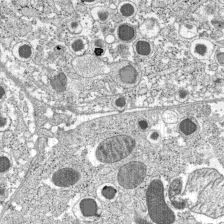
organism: C57BL Mouse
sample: Pancreatic islet